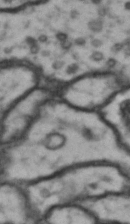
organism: Drosophila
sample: Brain